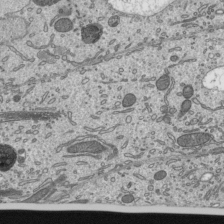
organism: Mouse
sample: Mouse epididymis efferent ductule cilia